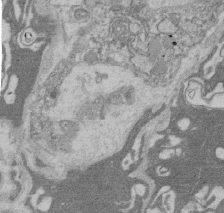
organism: Rat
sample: Salivary granule